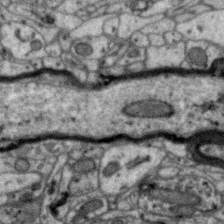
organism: Zebra finch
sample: Brain